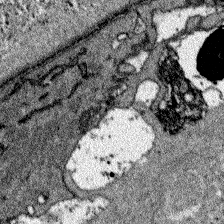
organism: Zebrafish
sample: Larval olfactory bulb